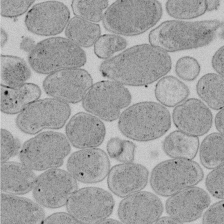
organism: E. coli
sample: Bacterial nucleoid